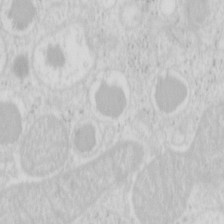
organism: Mouse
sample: Pancreas